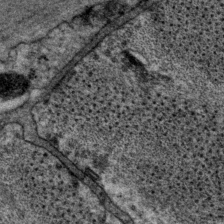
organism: P. pacificus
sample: Pharynx